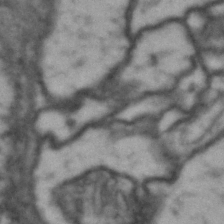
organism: Drosophila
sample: Brain